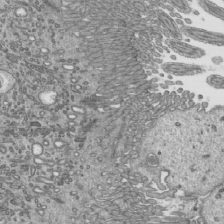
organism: Mouse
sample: Mouse epididymis efferent ductule cilia